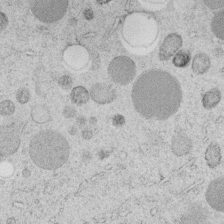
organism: C. elegans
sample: C. elegans embryo early stage